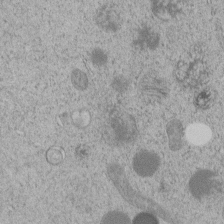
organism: C. elegans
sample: C. elegans embryo early stage